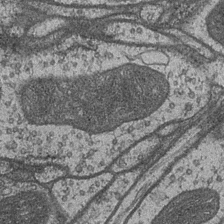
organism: Drosophila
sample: Optic medulla